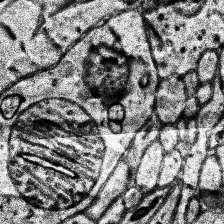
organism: Human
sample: Temporal Lobe